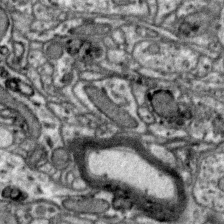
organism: Zebra finch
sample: Brain